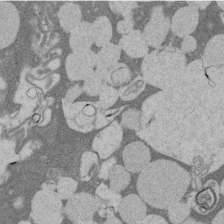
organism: Rat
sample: Salivary granule